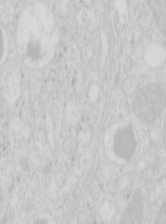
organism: Mouse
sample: Pancreas